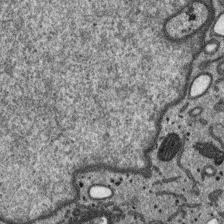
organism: Human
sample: Lung epithelial cells infected with SARS-CoV-2